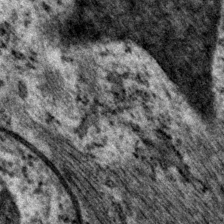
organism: P. pacificus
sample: Pharynx